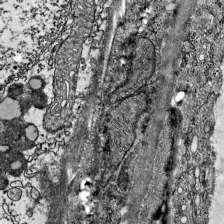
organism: Mouse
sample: Visual Cortex